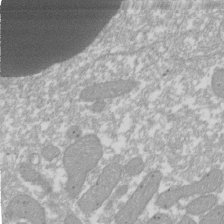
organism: Xenopus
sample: Cilia; centrioles in frog embryo cells